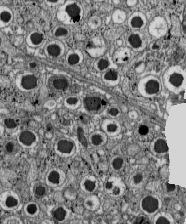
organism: C57BL Mouse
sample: Pancreatic islet